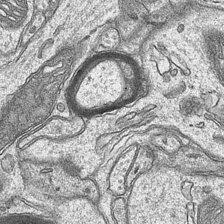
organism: Mouse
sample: CA1 Hippocampus